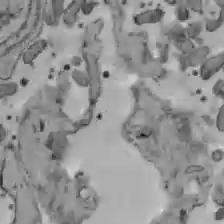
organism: C57BL Mouse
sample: Liver